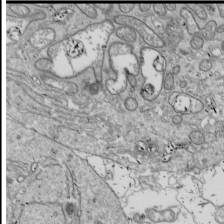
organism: Drosophila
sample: Cell division; meiosis; drosophila spermatocytes